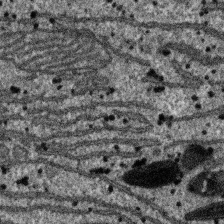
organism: Human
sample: Lung epithelial cells infected with SARS-CoV-2